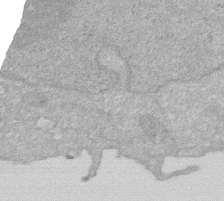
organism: Human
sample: HIV infected U937 cells